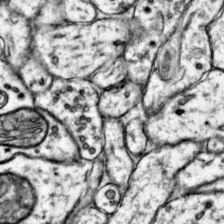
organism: Mouse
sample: Primary visual cortex